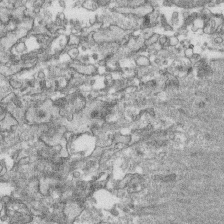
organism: Human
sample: CRL-1474